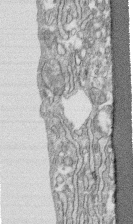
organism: Human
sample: CRL-1474